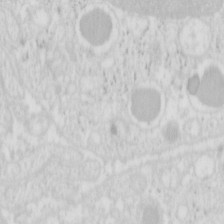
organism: Mouse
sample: Pancreas